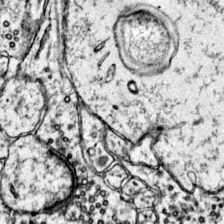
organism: Mouse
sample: Primary visual cortex